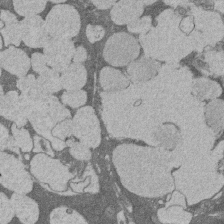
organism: Rat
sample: Salivary granule